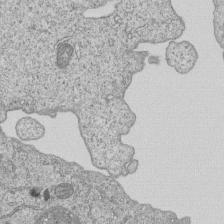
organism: Human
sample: MDA-MB-231 cells